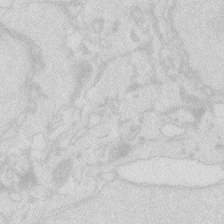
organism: Zebrafish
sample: Macrophage